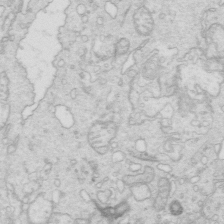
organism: Mouse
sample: Multiciliated cells